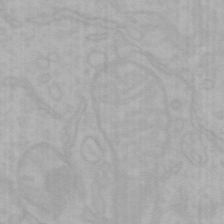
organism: Mouse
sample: Choroid plexus